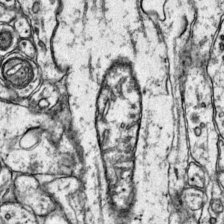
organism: Mouse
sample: Primary visual cortex